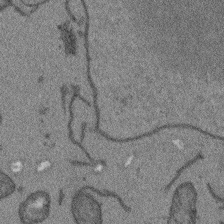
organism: Arabidopsis thaliana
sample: Root tip